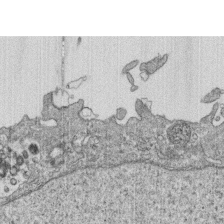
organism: Human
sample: HeLa cell HIV synapse